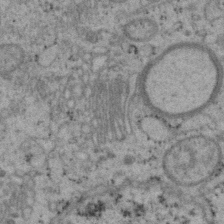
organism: Human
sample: HeLa cells